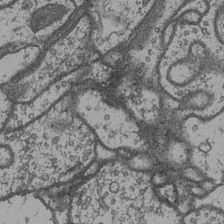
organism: Drosophila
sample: Optic medulla